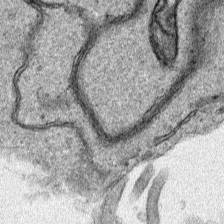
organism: Human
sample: Mitochondria in HCT116 cells